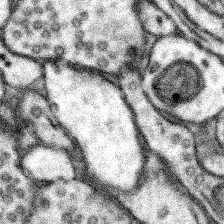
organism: Mouse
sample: Somatosensory cortex neuropil